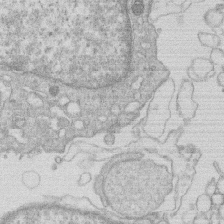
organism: Human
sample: Macrophage cells